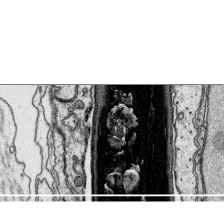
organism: Platynereis dumerilii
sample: Parapodia